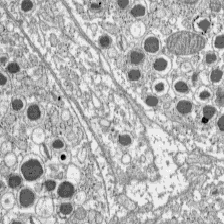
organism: C57BL Mouse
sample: Pancreatic islet